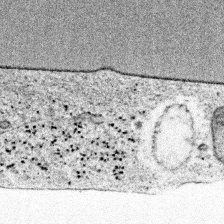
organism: Human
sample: HeLa cells